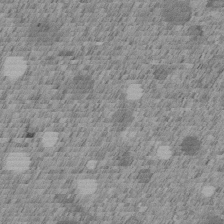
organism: C. elegans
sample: C. elegans embryo early stage